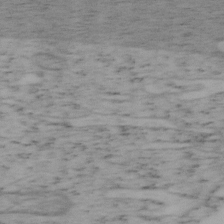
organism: Mouse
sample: OT-I killer T cells with ID8 ovarian cancer cells